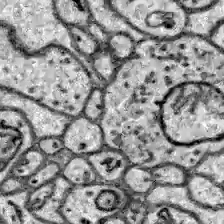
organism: Zebrafish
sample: Brain